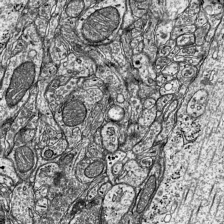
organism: Mouse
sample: Visual Cortex